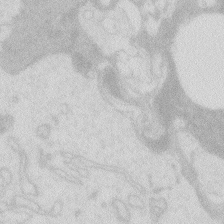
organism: Zebrafish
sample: Macrophage